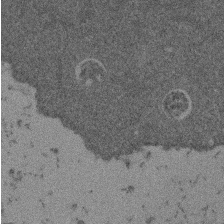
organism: Mouse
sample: Dividing mouse embryo 1 cell stage